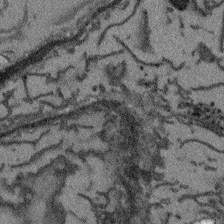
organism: Arabidopsis thaliana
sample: Root tip